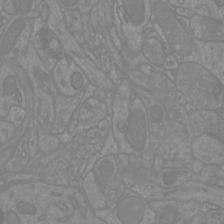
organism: Mouse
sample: Cortical neurons